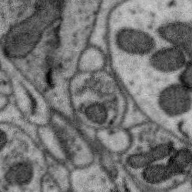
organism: Zebra finch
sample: Brain